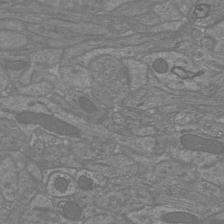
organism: Mouse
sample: Cortical neurons